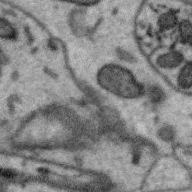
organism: Zebra finch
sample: Brain